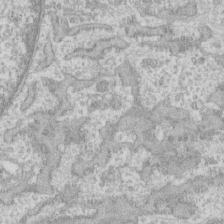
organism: Human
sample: CRL-1474